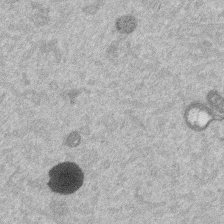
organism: Mouse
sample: Dividing mouse embryo 1 cell stage